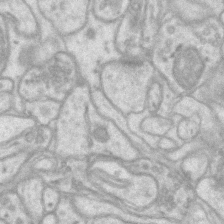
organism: Mouse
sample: CA1 Hippocampus